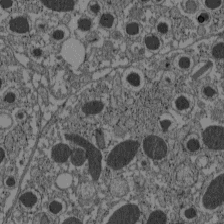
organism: C57BL Mouse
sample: Pancreatic islet